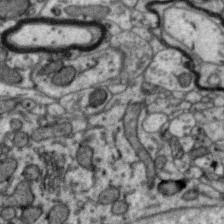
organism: Zebra finch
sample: Brain